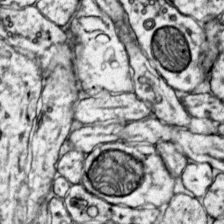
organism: Mouse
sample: Primary visual cortex